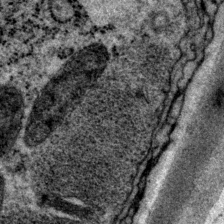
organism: P. pacificus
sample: Pharynx